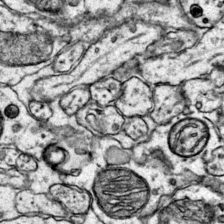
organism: Mouse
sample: Primary visual cortex